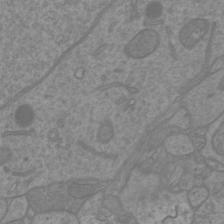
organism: Mouse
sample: Cortical neurons